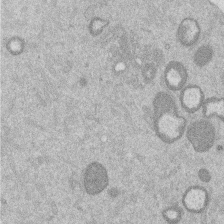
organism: Mouse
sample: Dividing mouse embryo 1 cell stage